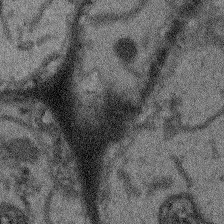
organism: Arabidopsis thaliana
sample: Root tip